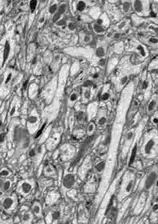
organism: Drosophila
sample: Optic lobe